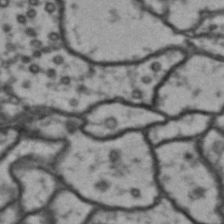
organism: Drosophila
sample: Brain